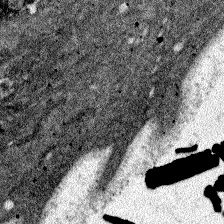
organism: Zebrafish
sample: Larval olfactory bulb